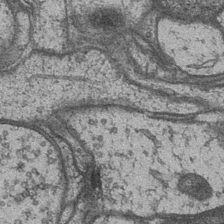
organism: Drosophila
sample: Optic medulla